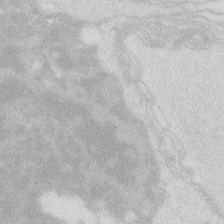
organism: Zebrafish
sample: Macrophage